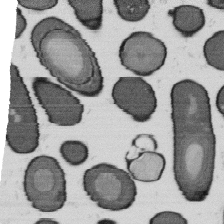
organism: B. subtilis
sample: Bacterial spore